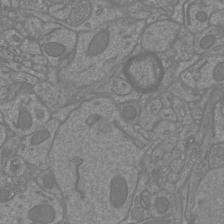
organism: Mouse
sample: Cortical neurons